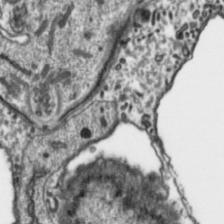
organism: Toxoplasma gondii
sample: Parasites in a vacuole inside a host cell